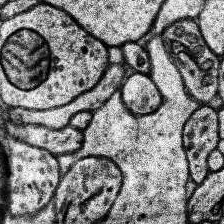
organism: Human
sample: Temporal Lobe